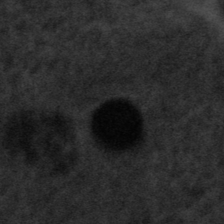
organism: Tuwongella immobilis